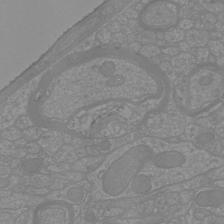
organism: Mouse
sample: Cortical neurons